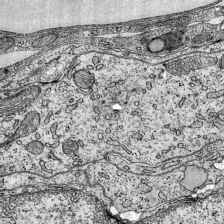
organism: Mouse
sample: Visual Cortex